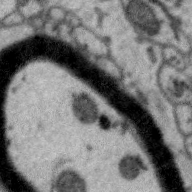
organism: Zebra finch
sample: Brain